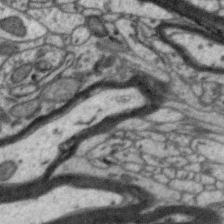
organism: Zebra finch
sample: Brain